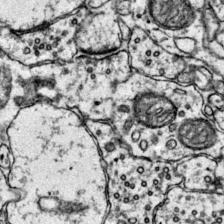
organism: Mouse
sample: Primary visual cortex